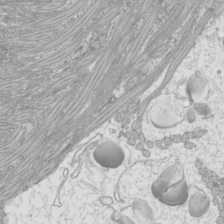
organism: Mouse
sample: Cilia; mouse epididymis